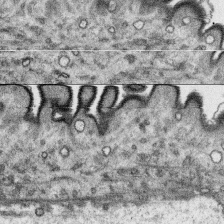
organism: Platynereis dumerilii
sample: Parapodia